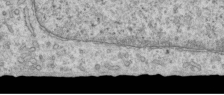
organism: Human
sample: Centriole in RPE cells